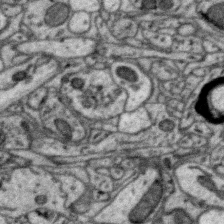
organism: Zebra finch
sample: Brain